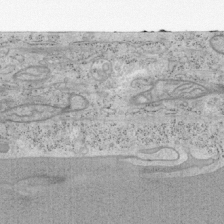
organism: Human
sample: HeLa cells